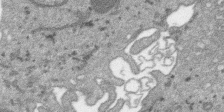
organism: Human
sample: Lung epithelial cells infected with SARS-CoV-2